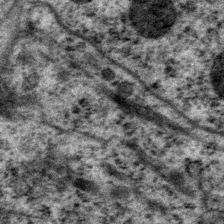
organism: P. pacificus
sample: Pharynx